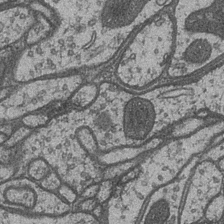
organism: Drosophila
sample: Optic medulla